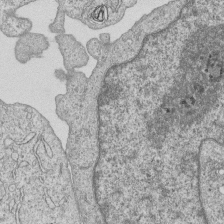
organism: Human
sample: MDA-MB-231 cells